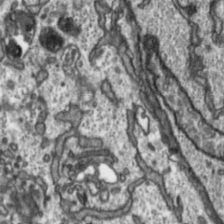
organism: Toxoplasma gondii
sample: Parasites in a vacuole inside a host cell